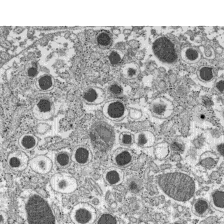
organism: C57BL Mouse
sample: Pancreatic islet